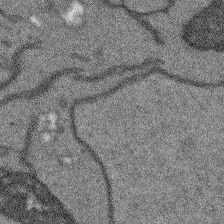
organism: Arabidopsis thaliana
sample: Root tip